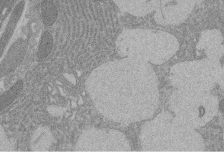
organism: Rat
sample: Salivary granule